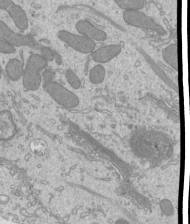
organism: Mouse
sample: Cilia; mouse epididymis